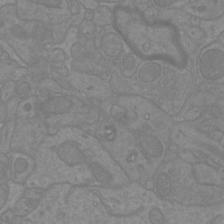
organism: Mouse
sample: Cortical neurons